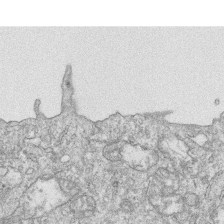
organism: Human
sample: HeLa cell HIV synapse